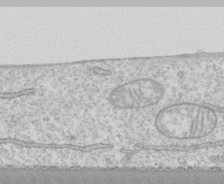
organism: Human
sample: CRL-1474